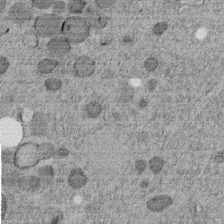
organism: C. elegans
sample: C. elegans embryo early stage